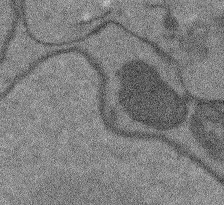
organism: Arabidopsis thaliana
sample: Root tip